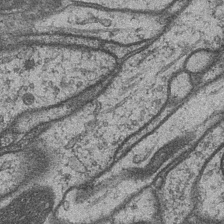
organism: Drosophila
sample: Optic medulla